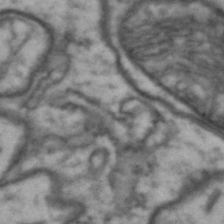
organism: Drosophila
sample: Brain